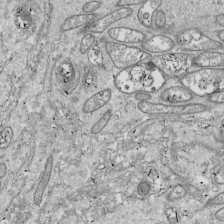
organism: Drosophila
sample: Cell division; meiosis; drosophila spermatocytes